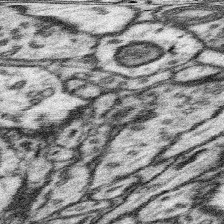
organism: Mouse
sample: Somatosensory cortex neuropil